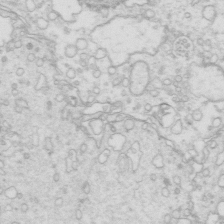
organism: Mouse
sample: Multiciliated cells